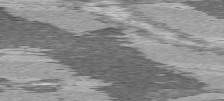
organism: C57BL Mouse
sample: Heart